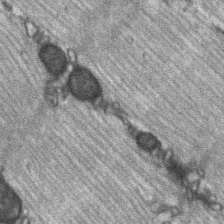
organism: C57BL Mouse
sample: Soleus